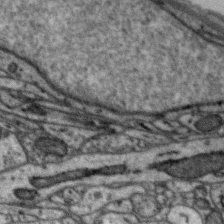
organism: Zebra finch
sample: Brain